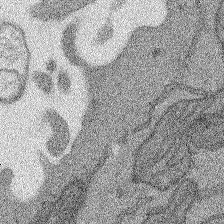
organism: Human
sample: HeLa cells